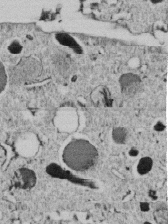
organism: C. elegans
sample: C. elegans embryo early stage